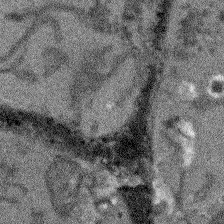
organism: Arabidopsis thaliana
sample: Root tip